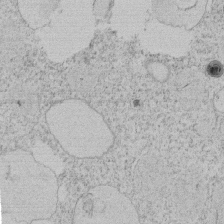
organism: Tetrahymena